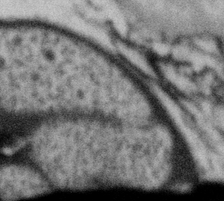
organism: Gemmata obscuriglobus